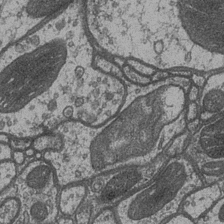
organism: Drosophila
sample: Optic medulla